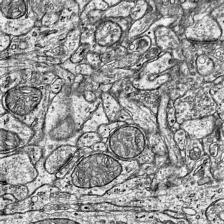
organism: Mouse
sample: Visual Cortex